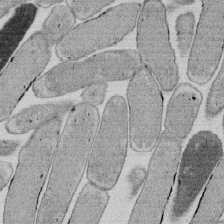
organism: E. coli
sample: Bacterial nucleoid